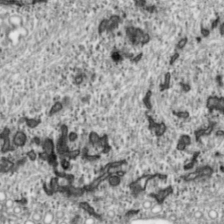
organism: Toxoplasma gondii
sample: Parasites in a vacuole inside a host cell